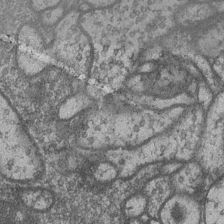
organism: Drosophila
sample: Optic medulla